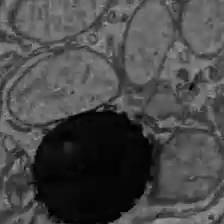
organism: C57BL Mouse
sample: Liver